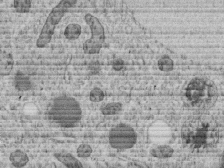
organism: C. elegans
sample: C. elegans embryo early stage